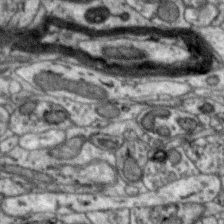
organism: Zebra finch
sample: Brain